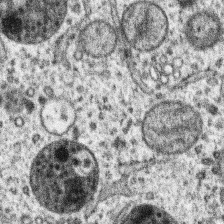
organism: Human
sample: HeLa cells